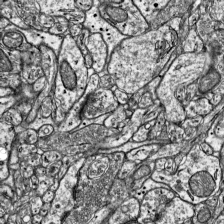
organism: Mouse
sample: Visual Cortex